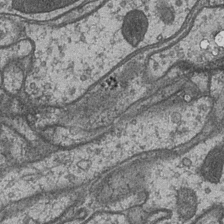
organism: Drosophila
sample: Optic medulla